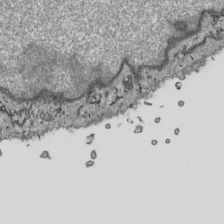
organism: Human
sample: Mitochondria in HCT116 cells